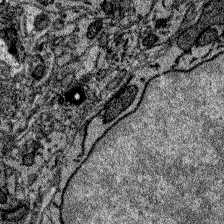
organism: Zebrafish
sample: Larval olfactory bulb